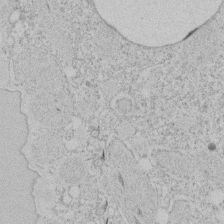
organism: Tetrahymena